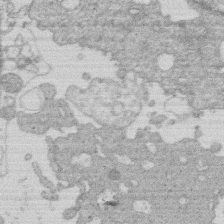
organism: Human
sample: Macrophage cells